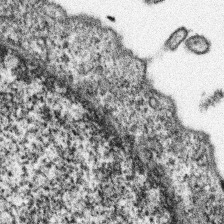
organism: Human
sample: HeLa cells